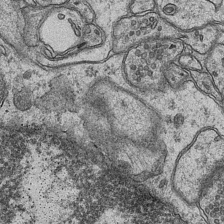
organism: Mouse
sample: CA1 Hippocampus